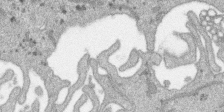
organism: Human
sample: Lung epithelial cells infected with SARS-CoV-2